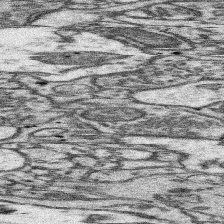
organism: Mouse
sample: Somatosensory cortex neuropil